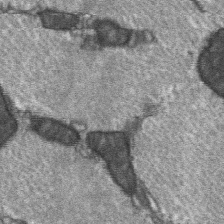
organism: C57BL Mouse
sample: Soleus